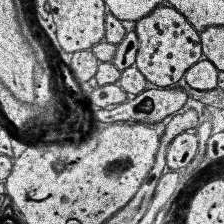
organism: Human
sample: Temporal Lobe